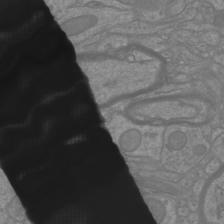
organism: Mouse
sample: Cortical neurons